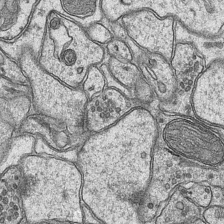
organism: Mouse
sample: CA1 Hippocampus